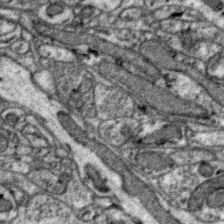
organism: Zebra finch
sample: Brain